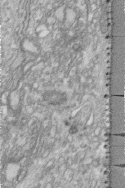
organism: Human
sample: Centriole in fibroblast cells